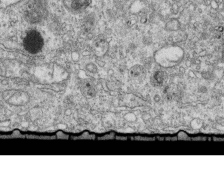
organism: Human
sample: HeLa cell HIV synapse